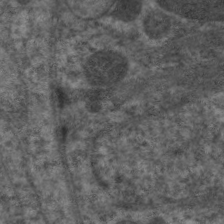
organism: C. elegans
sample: Pharynx